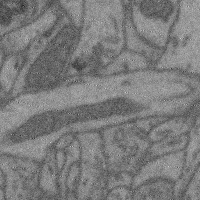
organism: Mouse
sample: Cerebral cortex